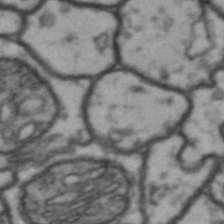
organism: Drosophila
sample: Brain